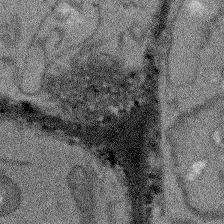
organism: Arabidopsis thaliana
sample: Root tip